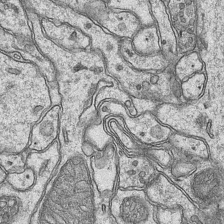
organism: Mouse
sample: CA1 Hippocampus